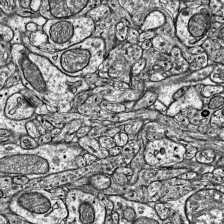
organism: Mouse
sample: Visual Cortex